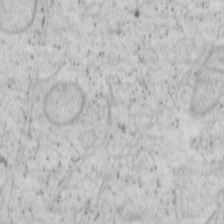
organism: Human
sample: HeLa cells